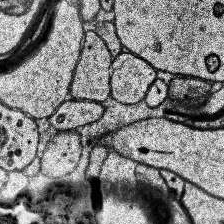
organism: Human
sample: Temporal Lobe